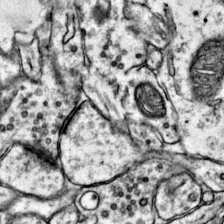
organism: Mouse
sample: Primary visual cortex